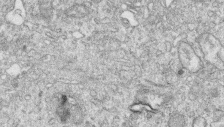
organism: Human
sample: HeLa cell HIV synapse